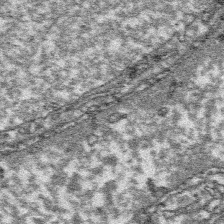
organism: Platynereis dumerilii